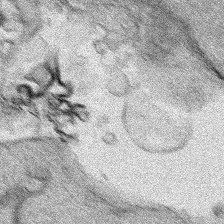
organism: Human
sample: Mitochondria in HCT116 cells